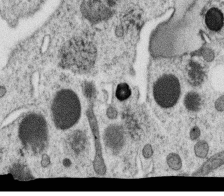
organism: C. elegans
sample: C. elegans oocyte; sperm cells